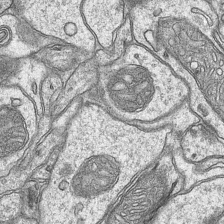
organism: Mouse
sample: CA1 Hippocampus